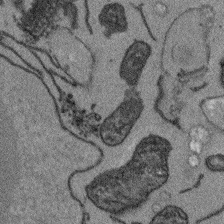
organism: Arabidopsis thaliana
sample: Root tip